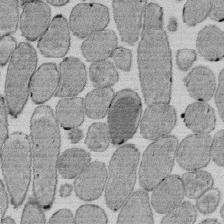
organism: E. coli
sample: Bacterial nucleoid